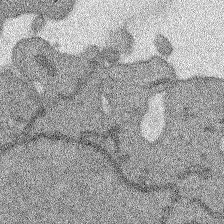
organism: Human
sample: HeLa cells